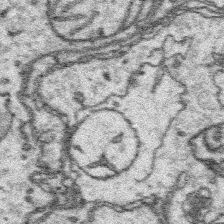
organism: Platynereis dumerilii